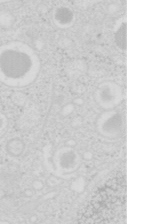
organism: Mouse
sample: Pancreas